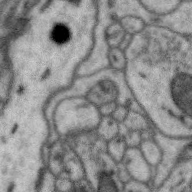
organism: Zebra finch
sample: Brain